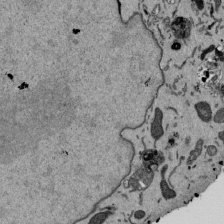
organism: Mouse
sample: ED-1 cell nuclei; centrioles